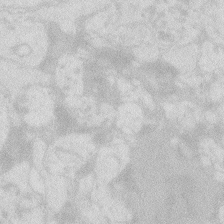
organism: Zebrafish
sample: Macrophage